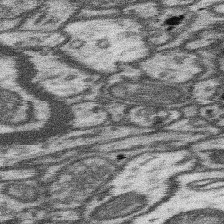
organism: Mouse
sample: Somatosensory cortex neuropil